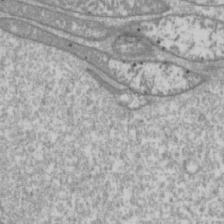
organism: Drosophila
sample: Cell division; meiosis; drosophila spermatocytes